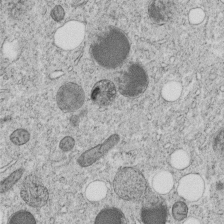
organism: C. elegans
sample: C. elegans embryo early stage